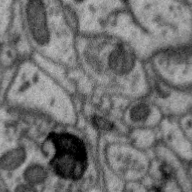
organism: Zebra finch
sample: Brain